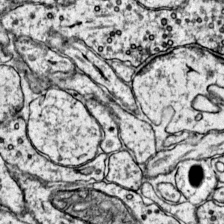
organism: Mouse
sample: Primary visual cortex